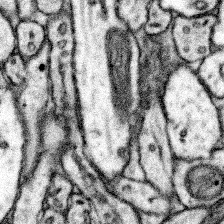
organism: Mouse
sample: Somatosensory cortex neuropil